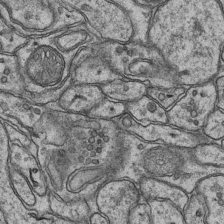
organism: Mouse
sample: CA1 Hippocampus